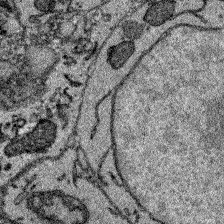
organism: Zebrafish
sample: Larval olfactory bulb